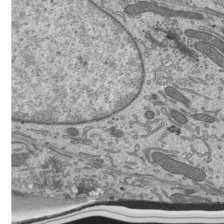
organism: Mouse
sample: Mouse epididymis efferent ductule cilia